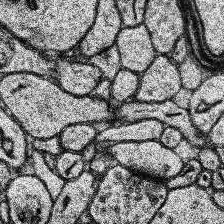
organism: Human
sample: Temporal Lobe